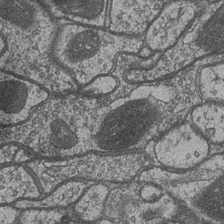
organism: Drosophila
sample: Optic medulla